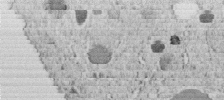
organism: C. elegans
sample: C. elegans embryo early stage